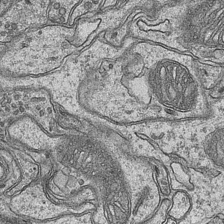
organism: Mouse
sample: CA1 Hippocampus